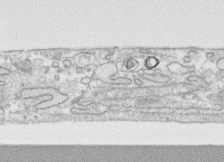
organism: Human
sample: CRL-1474